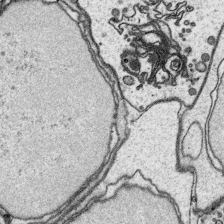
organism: Platynereis dumerilii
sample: Parapodia